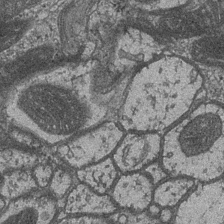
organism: Drosophila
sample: Optic medulla